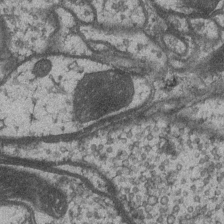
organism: Drosophila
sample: Optic medulla